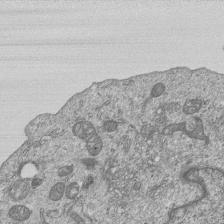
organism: Human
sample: MDA-MB-231 cells